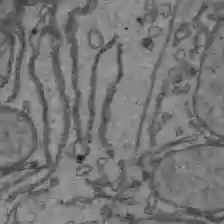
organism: C57BL Mouse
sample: Liver